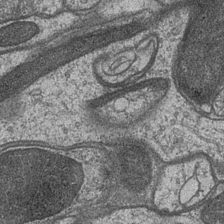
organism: Drosophila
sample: Optic medulla